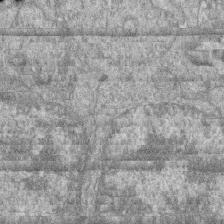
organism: Zebrafish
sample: Cilia; retinal pigment epithelium